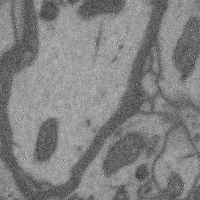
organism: Mouse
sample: Cerebral cortex